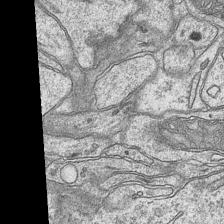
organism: Mouse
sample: CA1 Hippocampus